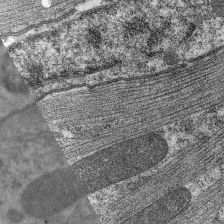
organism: C. elegans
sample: Pharynx